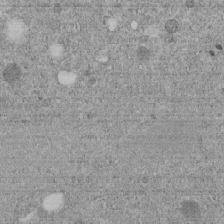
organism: C. elegans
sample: C. elegans embryo early stage